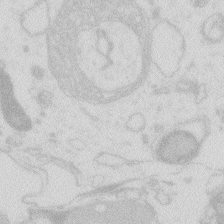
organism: Zebrafish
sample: Macrophage